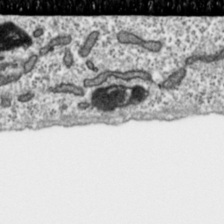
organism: Toxoplasma gondii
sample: Parasites in a vacuole inside a host cell